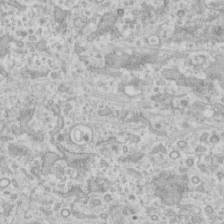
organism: Human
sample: CRL-1474